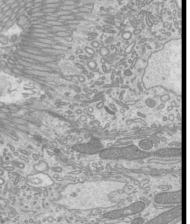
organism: Mouse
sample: Cilia; mouse epididymis